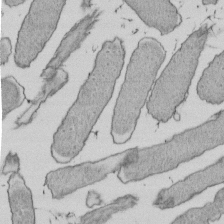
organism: E. coli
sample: Bacterial nucleoid